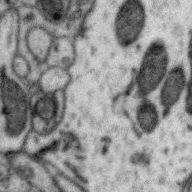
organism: Zebra finch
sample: Brain